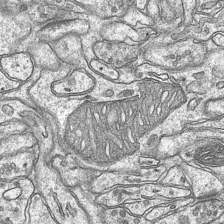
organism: Mouse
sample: CA1 Hippocampus